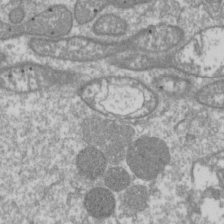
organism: Drosophila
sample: Cell division; meiosis; drosophila spermatocytes